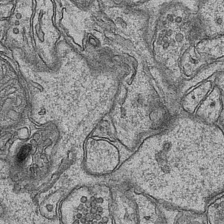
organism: Mouse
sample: CA1 Hippocampus